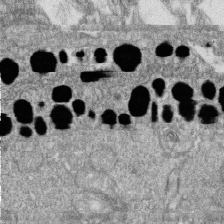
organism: Zebrafish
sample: Cilia; retinal pigment epithelium